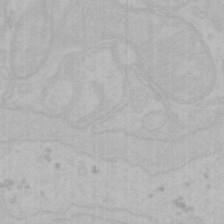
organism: Mouse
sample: Choroid plexus